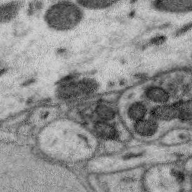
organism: Zebra finch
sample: Brain